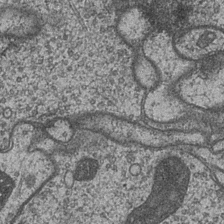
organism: Drosophila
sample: Optic medulla